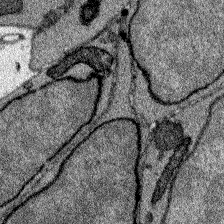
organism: Zebrafish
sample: Larval olfactory bulb